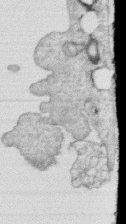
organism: Human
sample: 1205lu cells